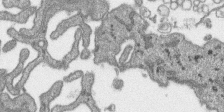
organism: Human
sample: Lung epithelial cells infected with SARS-CoV-2